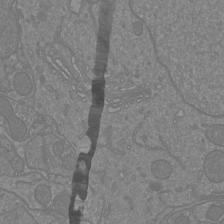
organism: Mouse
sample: Cortical neurons